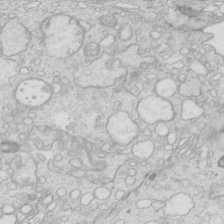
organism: Mouse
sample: Multiciliated cells